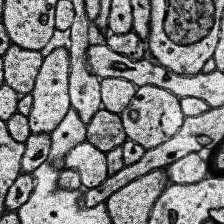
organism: Human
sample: Temporal Lobe